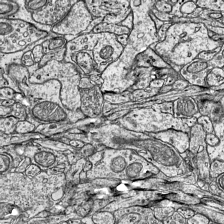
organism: Mouse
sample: Visual Cortex